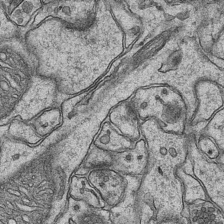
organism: Mouse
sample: CA1 Hippocampus